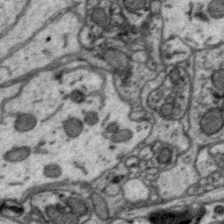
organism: Zebra finch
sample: Brain